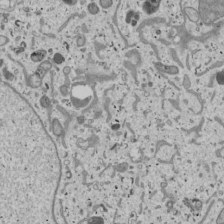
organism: Human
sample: Mitochondria in U2OS cells